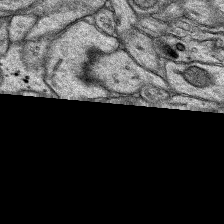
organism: Rat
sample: Hippocampus